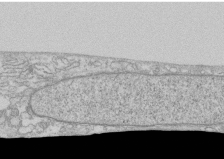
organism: Human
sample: CRL-1474